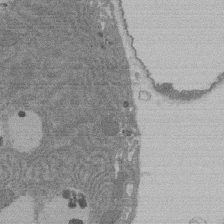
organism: Rat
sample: Salivary granule